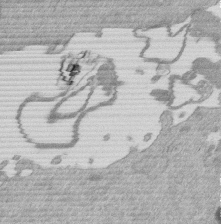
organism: Mouse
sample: Dividing mouse embryo 1 cell stage